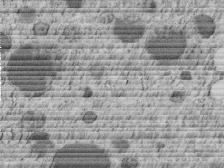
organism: C. elegans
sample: C. elegans embryo early stage